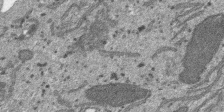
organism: Human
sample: Lung epithelial cells infected with SARS-CoV-2